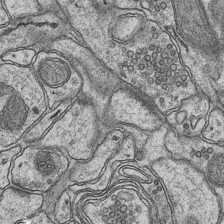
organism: Mouse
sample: CA1 Hippocampus